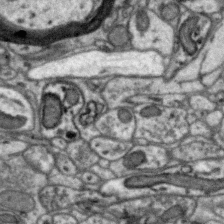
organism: Zebra finch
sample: Brain